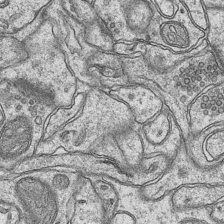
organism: Mouse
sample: CA1 Hippocampus